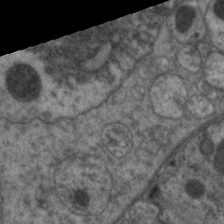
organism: C. elegans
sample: Pharynx